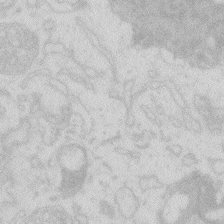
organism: Zebrafish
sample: Macrophage